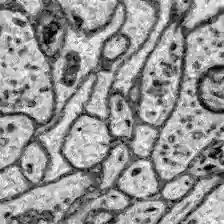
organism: Zebrafish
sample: Brain